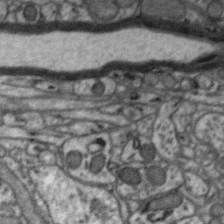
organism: Zebra finch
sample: Brain